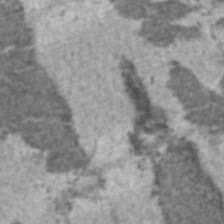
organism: C57BL Mouse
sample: Heart